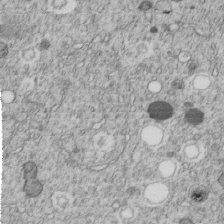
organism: C. elegans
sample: C. elegans embryo early stage